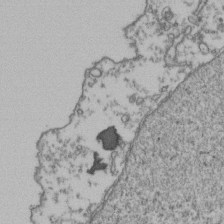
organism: Human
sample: Activated Jurkat CD4+ T cells